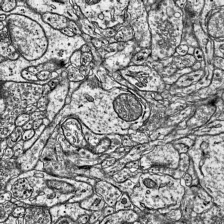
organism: Mouse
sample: Visual Cortex